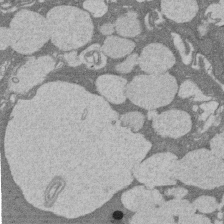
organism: Rat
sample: Salivary granule